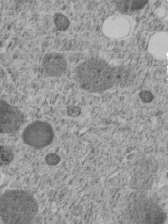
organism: C. elegans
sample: C. elegans embryo early stage